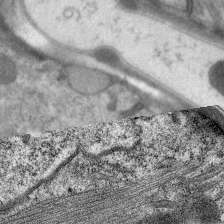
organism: C. elegans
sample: Pharynx